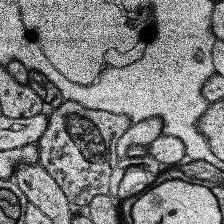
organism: Human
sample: Temporal Lobe